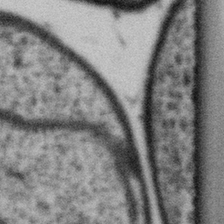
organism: Gemmata obscuriglobus